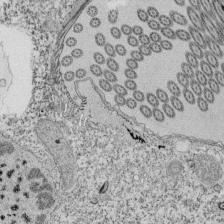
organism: Tetrahymena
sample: Cilia in tetrahymena